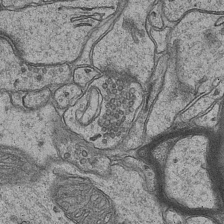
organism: Mouse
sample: CA1 Hippocampus